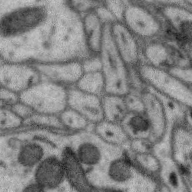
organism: Zebra finch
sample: Brain